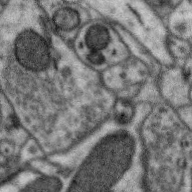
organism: Zebra finch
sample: Brain